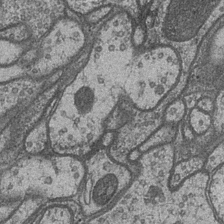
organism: Drosophila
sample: Optic medulla